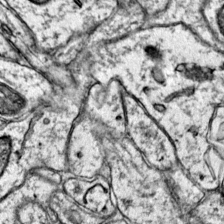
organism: Mouse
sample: Primary visual cortex